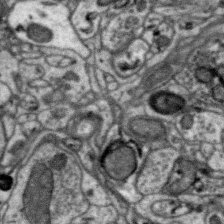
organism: Zebra finch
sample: Brain